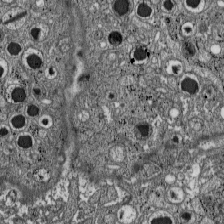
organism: C57BL Mouse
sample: Pancreatic islet